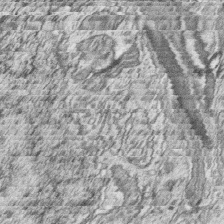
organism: Zebrafish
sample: synaptic ribbons in rod cells and cone cells